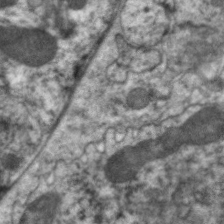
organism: C. elegans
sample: Pharynx